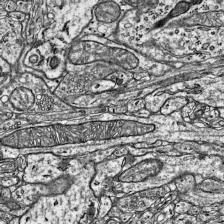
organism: Mouse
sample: Visual Cortex